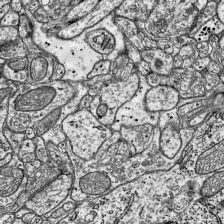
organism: Mouse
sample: Visual Cortex